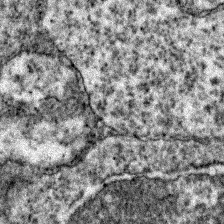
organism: Zebrafish